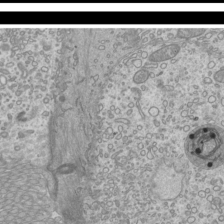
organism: Mouse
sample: Cilia; mouse epididymis